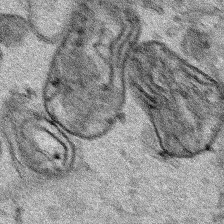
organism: Human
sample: Mitochondria in HCT116 cells